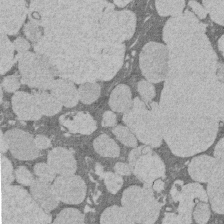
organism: Rat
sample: Salivary granule